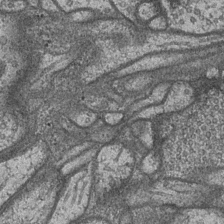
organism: Drosophila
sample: Optic medulla